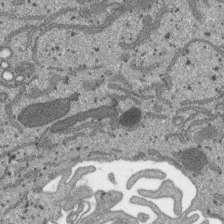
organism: Human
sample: Lung epithelial cells infected with SARS-CoV-2